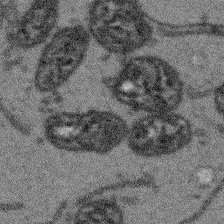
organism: Arabidopsis thaliana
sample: Root tip